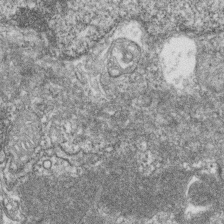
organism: Zebrafish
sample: Cilia; retinal pigment epithelium